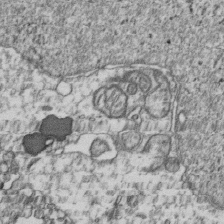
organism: Human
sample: Activated Jurkat CD4+ T cells